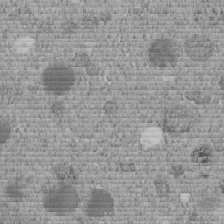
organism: C. elegans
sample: C. elegans embryo early stage